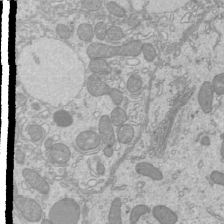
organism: Mouse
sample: Cilia; mouse epididymis